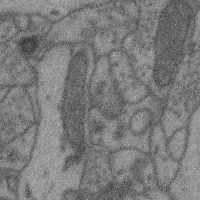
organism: Mouse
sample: Cerebral cortex